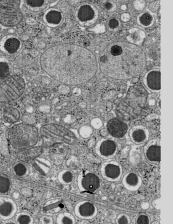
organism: C57BL Mouse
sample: Pancreatic islet